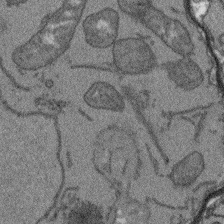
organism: Arabidopsis thaliana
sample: Root tip